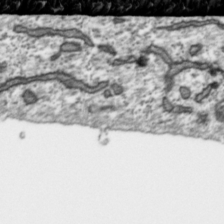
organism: Toxoplasma gondii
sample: Parasites in a vacuole inside a host cell